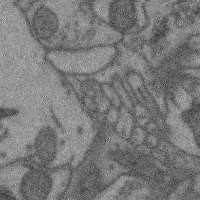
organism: Mouse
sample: Cerebral cortex